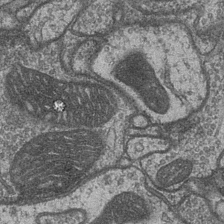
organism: Drosophila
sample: Optic medulla